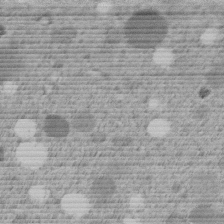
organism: C. elegans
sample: C. elegans embryo early stage